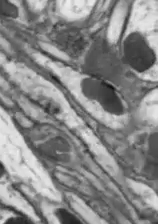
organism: Drosophila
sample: Optic lobe